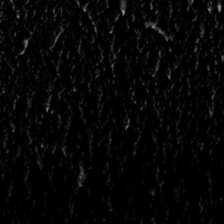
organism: Toxoplasma gondii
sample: Parasites in a vacuole inside a host cell